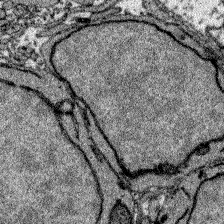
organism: Zebrafish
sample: Larval olfactory bulb